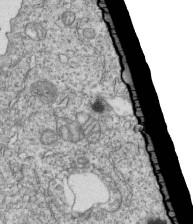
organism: Human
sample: HeLa cell HIV synapse